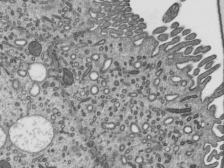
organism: Mouse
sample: Mouse epididymis efferent ductule cilia